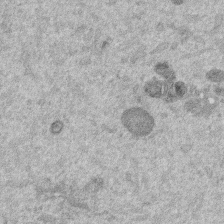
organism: Mouse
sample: Dividing mouse embryo 1 cell stage